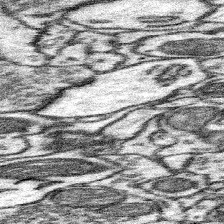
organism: Mouse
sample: Somatosensory cortex neuropil